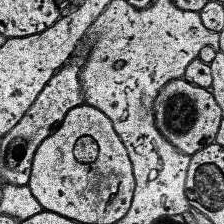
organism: Human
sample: Temporal Lobe